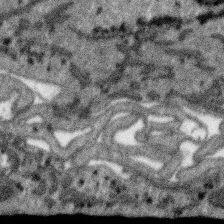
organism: Human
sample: Lung epithelial cells infected with SARS-CoV-2